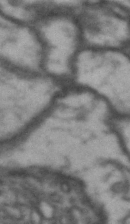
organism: Drosophila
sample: Brain